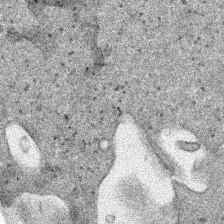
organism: Human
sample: Mitochondria in HCT116 cells